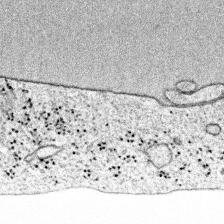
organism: Human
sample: HeLa cells